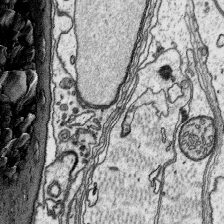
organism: Platynereis dumerilii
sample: Parapodia